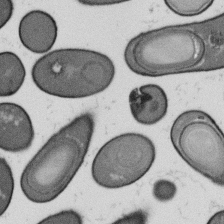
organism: B. subtilis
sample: Bacterial spore